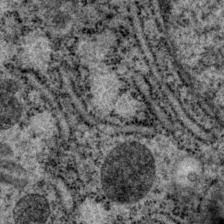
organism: P. pacificus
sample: Pharynx